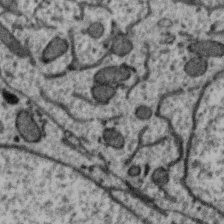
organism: Zebra finch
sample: Brain